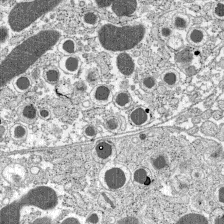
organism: C57BL Mouse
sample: Pancreatic islet